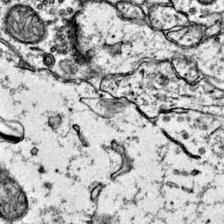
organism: Mouse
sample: Primary visual cortex